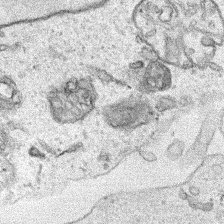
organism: Human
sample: Mitochondria in HCT116 cells